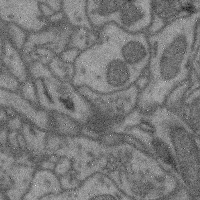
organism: Mouse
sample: Cerebral cortex